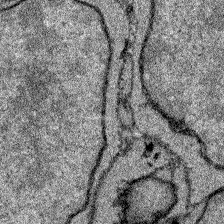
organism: Zebrafish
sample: Larval olfactory bulb